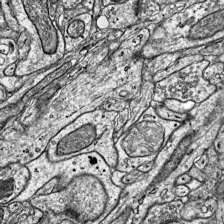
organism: Mouse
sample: Visual Cortex